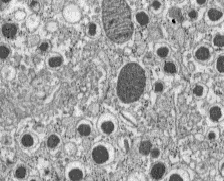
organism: C57BL Mouse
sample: Pancreatic islet